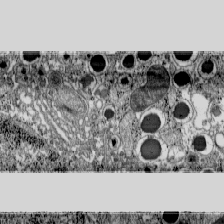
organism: C57BL Mouse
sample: Pancreatic islet